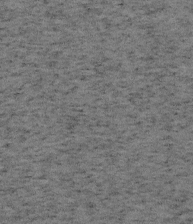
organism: Mouse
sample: OT-I killer T cells with ID8 ovarian cancer cells